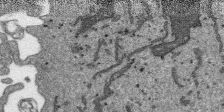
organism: Human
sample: Lung epithelial cells infected with SARS-CoV-2